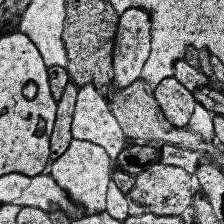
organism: Human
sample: Temporal Lobe